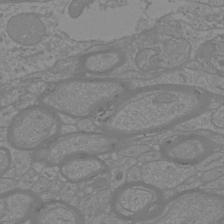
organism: Mouse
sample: Cortical neurons